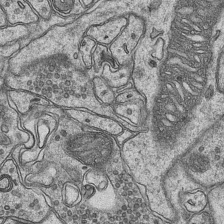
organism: Mouse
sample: CA1 Hippocampus